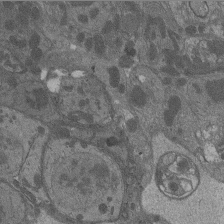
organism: Drosophila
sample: Antenna